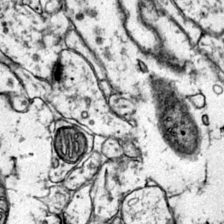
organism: Mouse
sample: Primary visual cortex